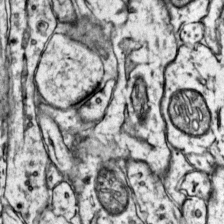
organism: Mouse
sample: Primary visual cortex